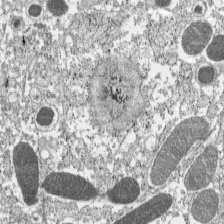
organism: C57BL Mouse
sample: Pancreatic islet